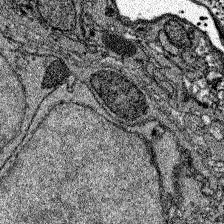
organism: Zebrafish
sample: Larval olfactory bulb